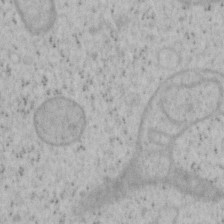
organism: Human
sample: HeLa cells